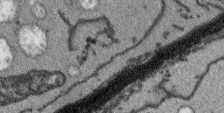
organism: Arabidopsis thaliana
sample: Root tip